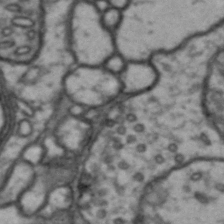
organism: Drosophila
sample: Brain